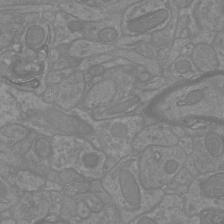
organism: Mouse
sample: Cortical neurons